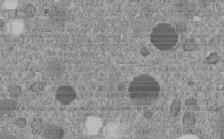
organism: C. elegans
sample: C. elegans embryo early stage